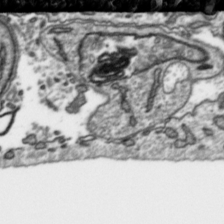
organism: Toxoplasma gondii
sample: Parasites in a vacuole inside a host cell